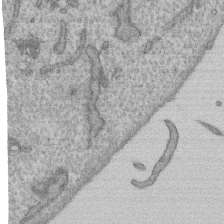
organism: Human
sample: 1205lu cells